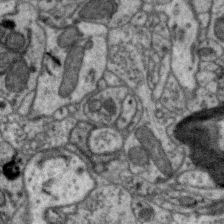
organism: Zebra finch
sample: Brain